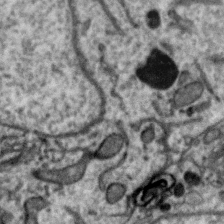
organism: Zebra finch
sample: Brain